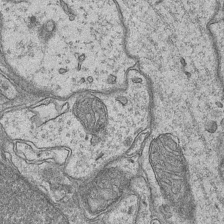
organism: Mouse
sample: CA1 Hippocampus